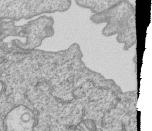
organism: Human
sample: MDA-MB-231 cells